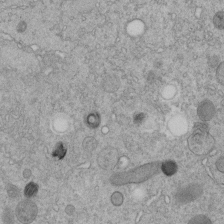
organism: C. elegans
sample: C. elegans embryo early stage